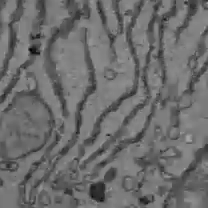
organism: C57BL Mouse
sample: Liver